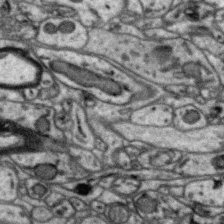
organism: Zebra finch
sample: Brain